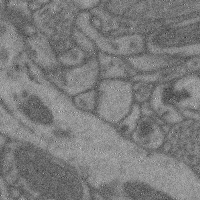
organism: Mouse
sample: Cerebral cortex